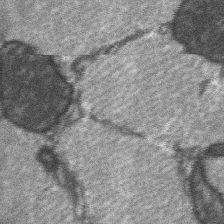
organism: C57BL Mouse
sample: Soleus